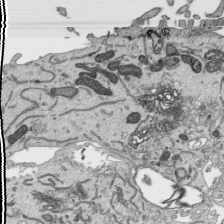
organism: Human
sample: Mitochondria in HCT116 cells